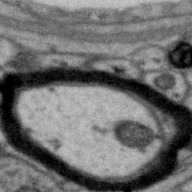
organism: Zebra finch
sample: Brain